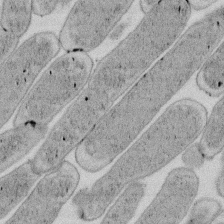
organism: E. coli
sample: Bacterial nucleoid